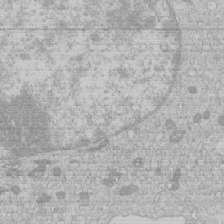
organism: Human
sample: Macrophage cells